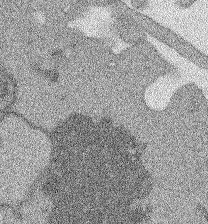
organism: Human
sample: HeLa cells